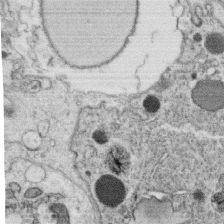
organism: C. elegans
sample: C. elegans oocyte; sperm cells